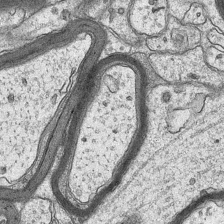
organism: Mouse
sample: CA1 Hippocampus